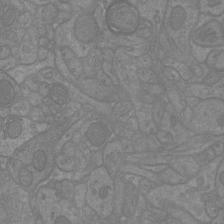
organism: Mouse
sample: Cortical neurons